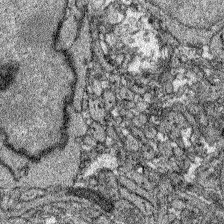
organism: Zebrafish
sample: Larval olfactory bulb